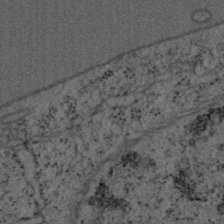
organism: Human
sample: HeLa cells